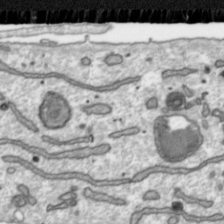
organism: Toxoplasma gondii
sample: Parasites in a vacuole inside a host cell